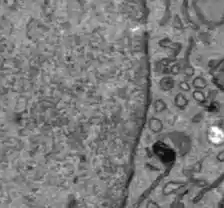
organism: C57BL Mouse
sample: Liver